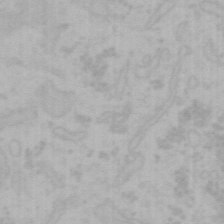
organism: Mouse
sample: Choroid plexus